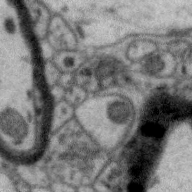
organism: Zebra finch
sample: Brain